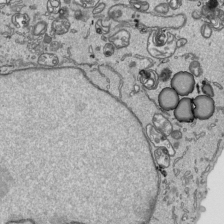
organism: Human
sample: Mitochondria in HCT116 cells